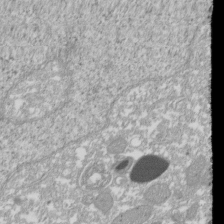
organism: Xenopus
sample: Cilia; centrioles in frog embryo cells